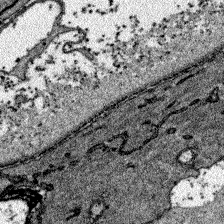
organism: Zebrafish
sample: Larval olfactory bulb